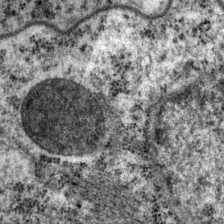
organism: P. pacificus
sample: Pharynx